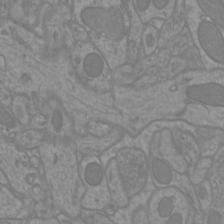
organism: Mouse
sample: Cortical neurons